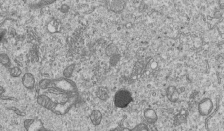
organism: Human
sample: MDA-MB-231 cells